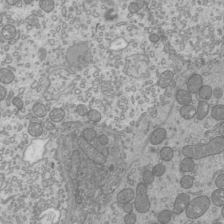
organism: Mouse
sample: Cilia; mouse epididymis